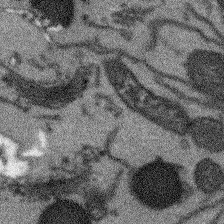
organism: Arabidopsis thaliana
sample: Root tip